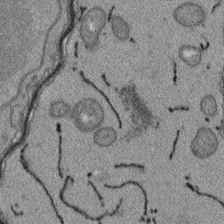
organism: Arabidopsis thaliana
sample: Root tip